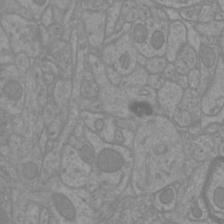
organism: Mouse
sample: Cortical neurons